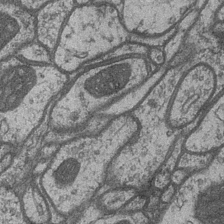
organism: Drosophila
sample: Optic medulla